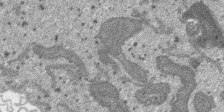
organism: Human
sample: Lung epithelial cells infected with SARS-CoV-2